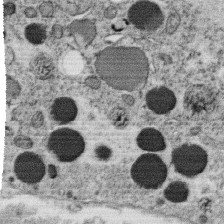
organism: C. elegans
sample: C. elegans oocyte; sperm cells